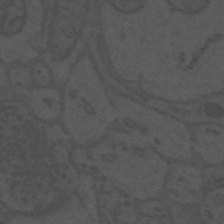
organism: Mouse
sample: Suprachiasmatic nucleus